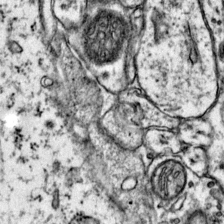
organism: Mouse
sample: Primary visual cortex